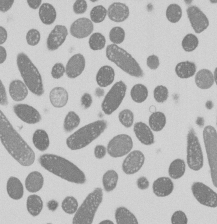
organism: E. coli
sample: Bacterial nucleoid